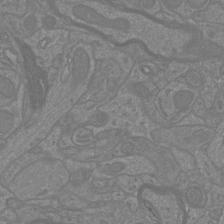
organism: Mouse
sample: Cortical neurons